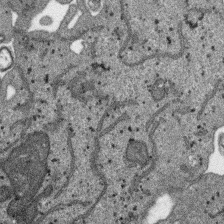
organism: Human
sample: Lung epithelial cells infected with SARS-CoV-2